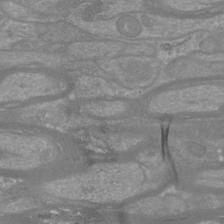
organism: Mouse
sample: Cortical neurons